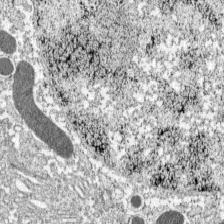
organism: C57BL Mouse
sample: Pancreatic islet